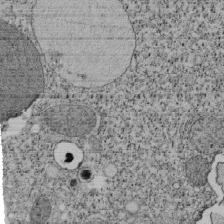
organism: Tetrahymena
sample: Cilia in tetrahymena